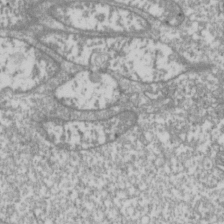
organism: Drosophila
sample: Cell division; meiosis; drosophila spermatocytes